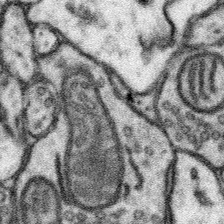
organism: Mouse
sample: Somatosensory cortex neuropil